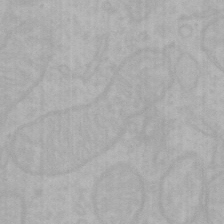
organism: Mouse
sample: Choroid plexus